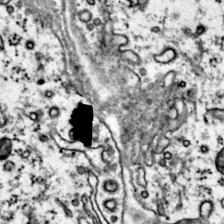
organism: Mouse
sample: Primary visual cortex